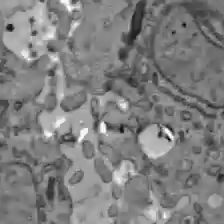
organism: C57BL Mouse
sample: Liver